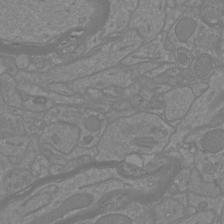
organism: Mouse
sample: Cortical neurons